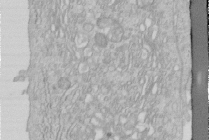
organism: Human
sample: Centriole in RPE cells